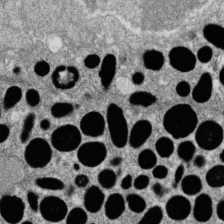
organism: Zebrafish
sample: Cilia; retinal pigment epithelium